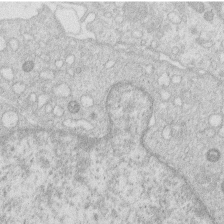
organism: Human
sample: Macrophage cells